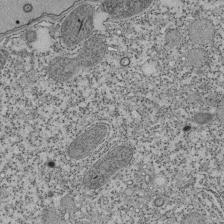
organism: Tetrahymena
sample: Cilia in tetrahymena